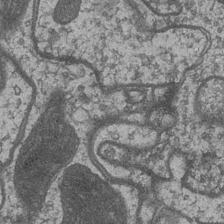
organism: Drosophila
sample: Optic medulla